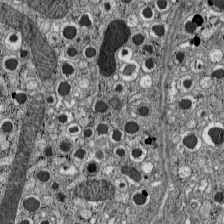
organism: C57BL Mouse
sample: Pancreatic islet